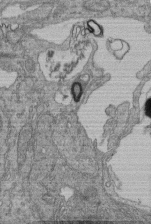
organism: Human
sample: Retinal organoid Rod and Cone cells